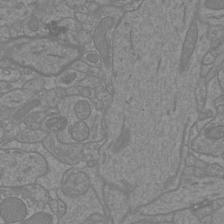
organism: Mouse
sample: Cortical neurons